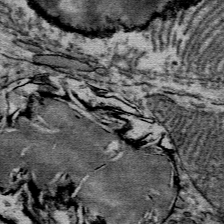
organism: Mouse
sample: Mouse Salivary gland